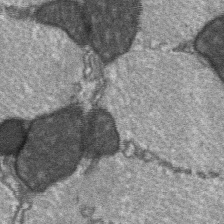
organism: C57BL Mouse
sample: Soleus